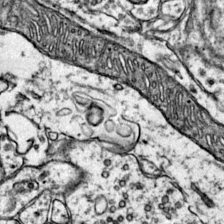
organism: Mouse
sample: Primary visual cortex